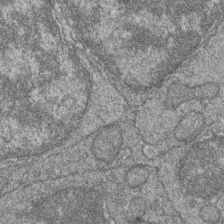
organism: Zebrafish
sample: Cilia; retinal pigment epithelium